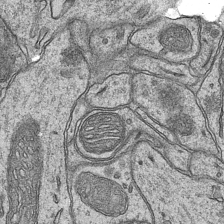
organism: Mouse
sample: CA1 Hippocampus